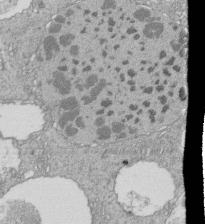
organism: Tetrahymena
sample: Cilia in tetrahymena